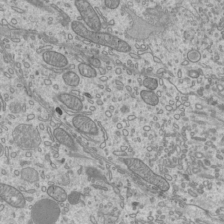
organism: Mouse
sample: Cilia; mouse epididymis